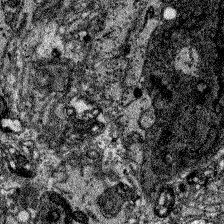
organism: Zebrafish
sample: Larval olfactory bulb